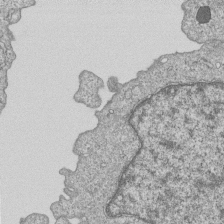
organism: Human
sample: MDA-MB-231 cells